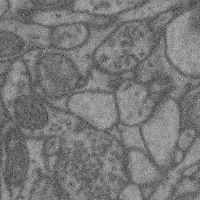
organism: Mouse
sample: Cerebral cortex